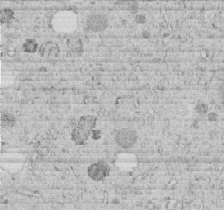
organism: C. elegans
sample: C. elegans embryo early stage